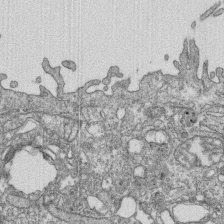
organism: Human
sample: HeLa cell HIV synapse